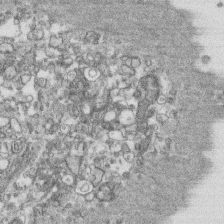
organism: Human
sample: CRL-1474